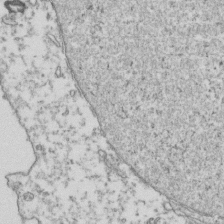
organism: Human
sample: Activated Jurkat CD4+ T cells